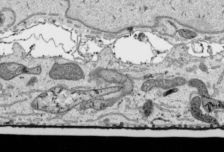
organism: Human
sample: Mitochondria in HCT116 cells